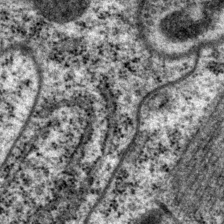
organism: P. pacificus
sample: Pharynx